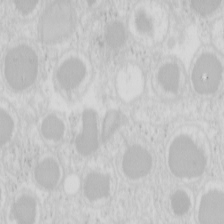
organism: Mouse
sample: Pancreas